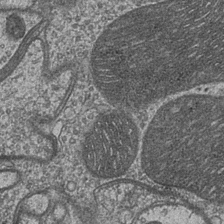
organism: Drosophila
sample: Optic medulla